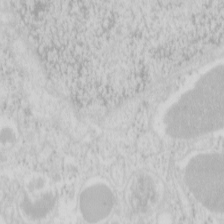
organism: Mouse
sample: Pancreas